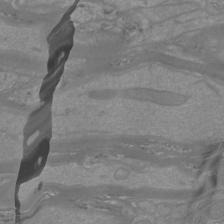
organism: Mouse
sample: Cortical neurons